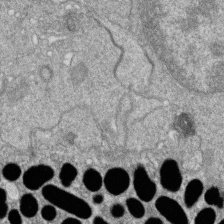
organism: Zebrafish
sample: Cilia; retinal pigment epithelium